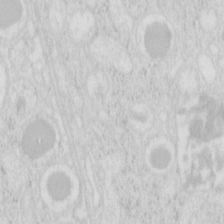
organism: Mouse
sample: Pancreas